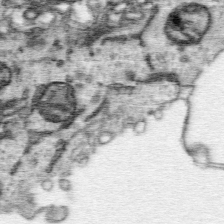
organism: Human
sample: HeLa cells